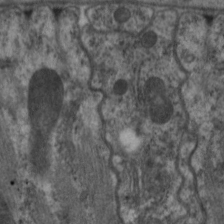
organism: C. elegans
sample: Pharynx